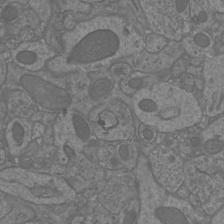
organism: Mouse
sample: Cortical neurons